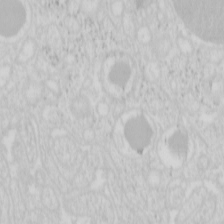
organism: Mouse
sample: Pancreas